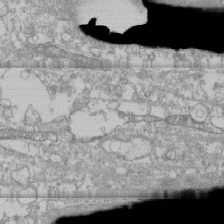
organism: Human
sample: CRL-1474